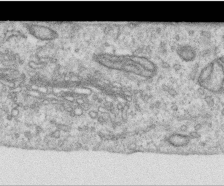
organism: Human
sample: Centriole in RPE cells